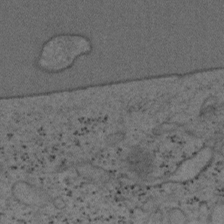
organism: Human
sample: HeLa cells